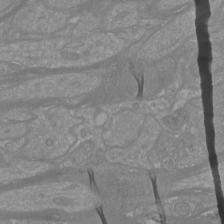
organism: Mouse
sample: Cortical neurons